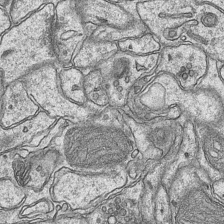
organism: Mouse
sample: CA1 Hippocampus